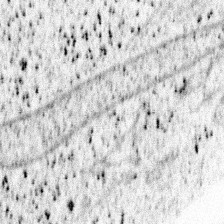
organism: Human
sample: HeLa cells